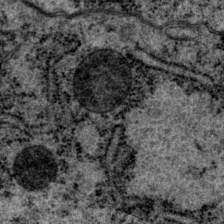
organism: P. pacificus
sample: Pharynx